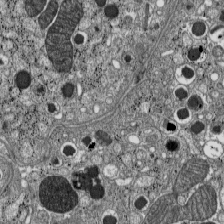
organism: C57BL Mouse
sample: Pancreatic islet